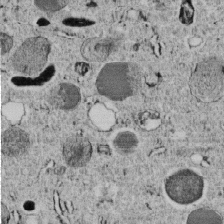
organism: C. elegans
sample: C. elegans embryo early stage